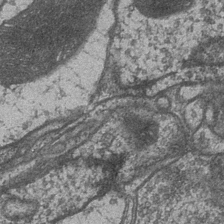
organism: Drosophila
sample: Optic medulla